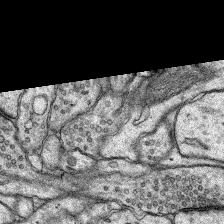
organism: Rat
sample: Hippocampus